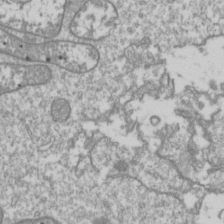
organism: Drosophila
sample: Cell division; meiosis; drosophila spermatocytes